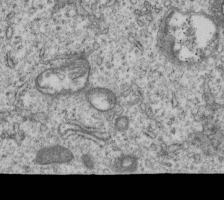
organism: Human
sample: MDA-MB-231 cells